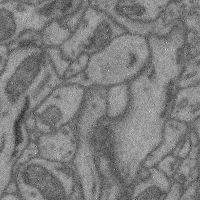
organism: Mouse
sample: Cerebral cortex